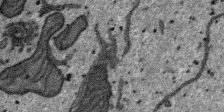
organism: Human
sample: Lung epithelial cells, uninfected (mock) control